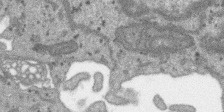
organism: Human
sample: Lung epithelial cells infected with SARS-CoV-2